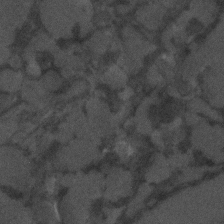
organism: C. elegans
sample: C. elegans embryo